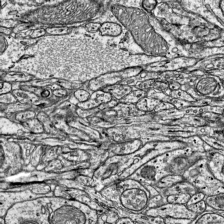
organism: Mouse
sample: Visual Cortex